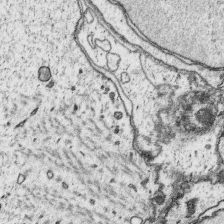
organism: Platynereis dumerilii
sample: Parapodia